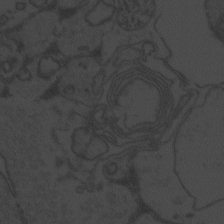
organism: Zebrafish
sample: Macrophage infected with Toxoplasma gondii